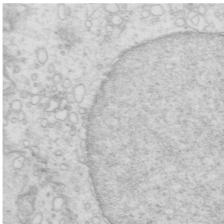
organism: Mouse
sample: Multiciliated cells